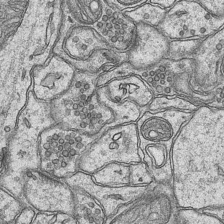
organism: Mouse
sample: CA1 Hippocampus